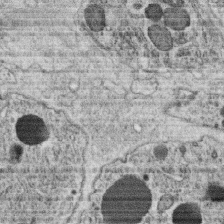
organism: C. elegans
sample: C. elegans oocyte; sperm cells